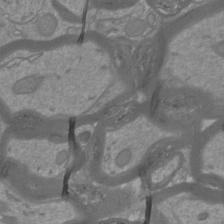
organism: Mouse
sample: Cortical neurons